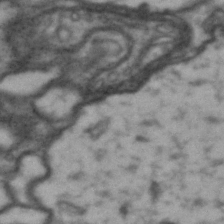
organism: Drosophila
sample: Brain